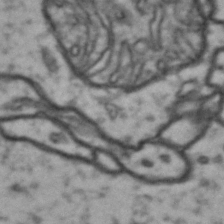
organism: Drosophila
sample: Brain